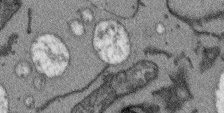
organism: Arabidopsis thaliana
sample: Root tip